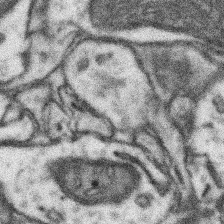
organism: Mouse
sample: Somatosensory cortex neuropil